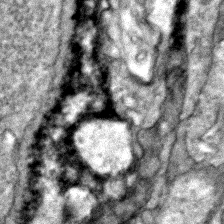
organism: Zebrafish